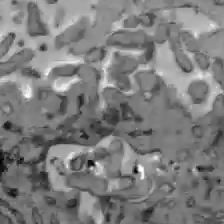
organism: C57BL Mouse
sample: Liver